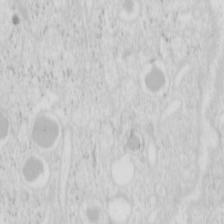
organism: Mouse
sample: Pancreas